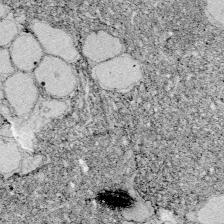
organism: Zebrafish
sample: Whole-Brain